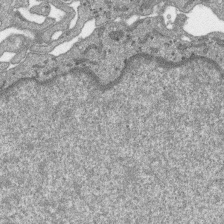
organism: Human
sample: Lung epithelial cells infected with SARS-CoV-2